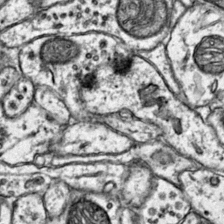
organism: Mouse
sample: Primary visual cortex